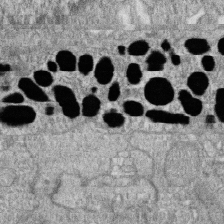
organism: Zebrafish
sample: Cilia; retinal pigment epithelium